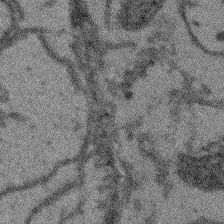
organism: Arabidopsis thaliana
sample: Root tip